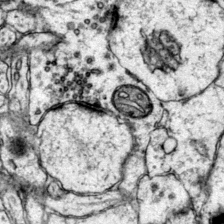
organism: Mouse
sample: Primary visual cortex